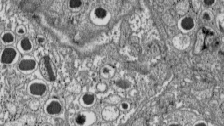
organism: C57BL Mouse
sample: Pancreatic islet